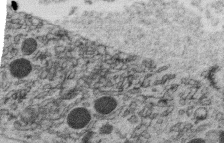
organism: C. elegans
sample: C. elegans oocyte; sperm cells